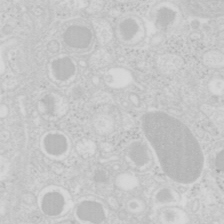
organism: Mouse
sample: Pancreas